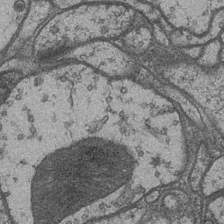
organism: Drosophila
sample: Optic medulla